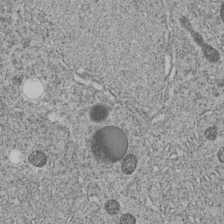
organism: C. elegans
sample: C. elegans embryo early stage